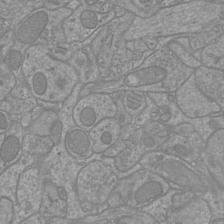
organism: Mouse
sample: Cortical neurons